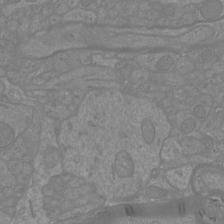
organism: Mouse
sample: Cortical neurons